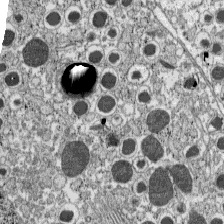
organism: C57BL Mouse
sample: Pancreatic islet